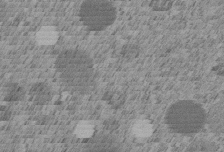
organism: C. elegans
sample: C. elegans embryo early stage